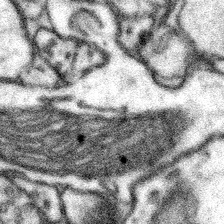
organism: Mouse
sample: Somatosensory cortex neuropil